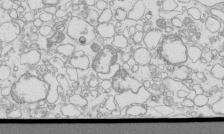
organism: Mouse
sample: Macrophages